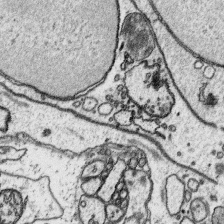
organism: Platynereis dumerilii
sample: Parapodia